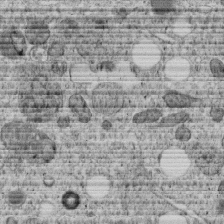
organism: C. elegans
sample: C. elegans embryo early stage